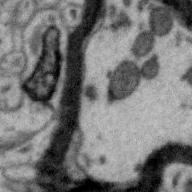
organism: Zebra finch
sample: Brain